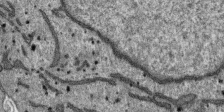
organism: Human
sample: Lung epithelial cells, uninfected (mock) control